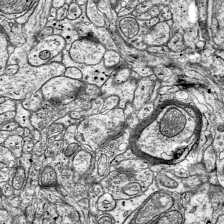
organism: Mouse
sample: Visual Cortex